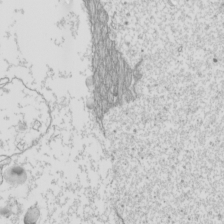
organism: Mouse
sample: Cilia; mouse epididymis